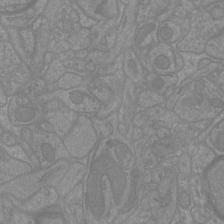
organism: Mouse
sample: Cortical neurons